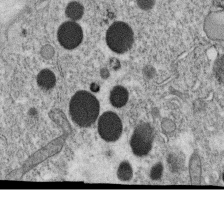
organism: C. elegans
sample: C. elegans oocyte; sperm cells